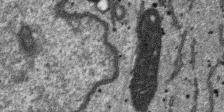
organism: Human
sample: Lung epithelial cells infected with SARS-CoV-2